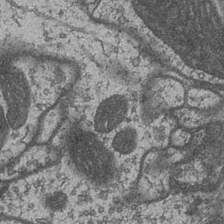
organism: Drosophila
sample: Optic medulla